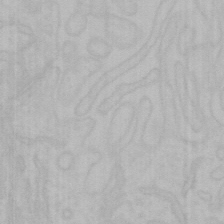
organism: Mouse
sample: Choroid plexus